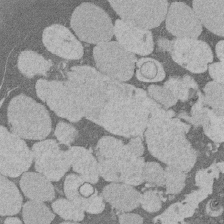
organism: Rat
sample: Salivary granule